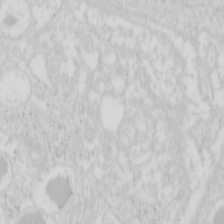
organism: Mouse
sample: Pancreas